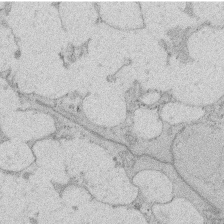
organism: Rat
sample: Salivary granule